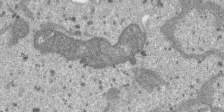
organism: Human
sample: Lung epithelial cells infected with SARS-CoV-2